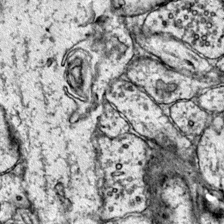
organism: Mouse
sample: Primary visual cortex